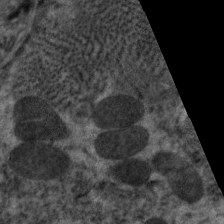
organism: C. elegans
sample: Pharynx